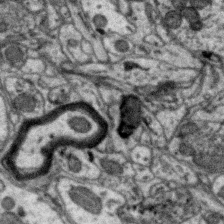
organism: Zebra finch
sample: Brain